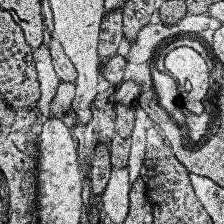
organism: Human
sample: Temporal Lobe